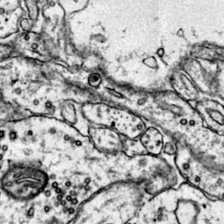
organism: Mouse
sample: Primary visual cortex